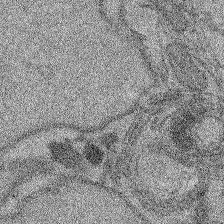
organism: Human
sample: HeLa cells